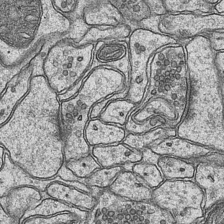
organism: Mouse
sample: CA1 Hippocampus